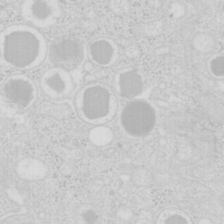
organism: Mouse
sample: Pancreas